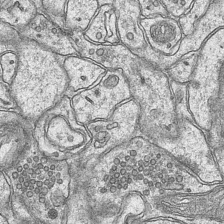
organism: Mouse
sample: CA1 Hippocampus